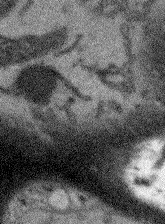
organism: Arabidopsis thaliana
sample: Root tip